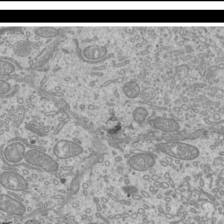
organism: Mouse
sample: Cilia; mouse epididymis